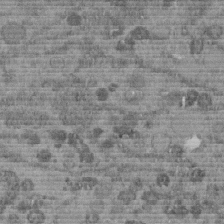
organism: C. elegans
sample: C. elegans embryo early stage